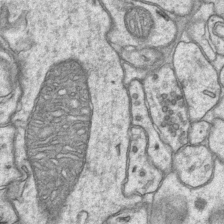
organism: Mouse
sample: CA1 Hippocampus